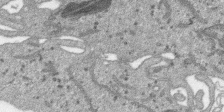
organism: Human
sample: Lung epithelial cells infected with SARS-CoV-2